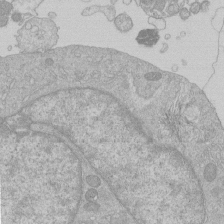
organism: Human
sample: Macrophage cells